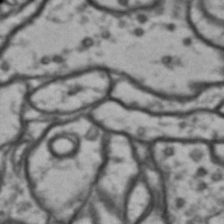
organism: Drosophila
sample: Brain